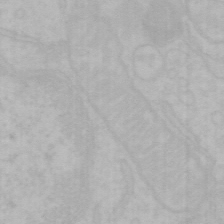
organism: Mouse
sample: Choroid plexus